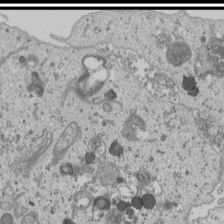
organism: Human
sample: Mitochondria in U2OS cells